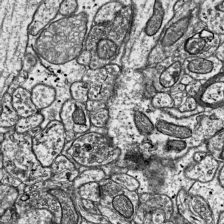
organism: Mouse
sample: Visual Cortex